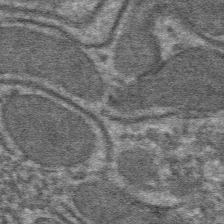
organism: Mouse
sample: Mouse hepatocytes